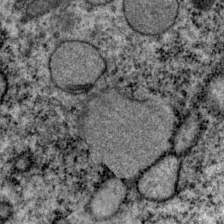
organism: P. pacificus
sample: Pharynx